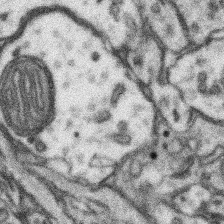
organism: Mouse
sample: Somatosensory cortex neuropil